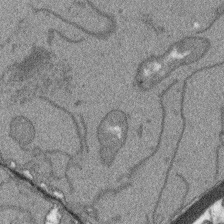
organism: Arabidopsis thaliana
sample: Root tip